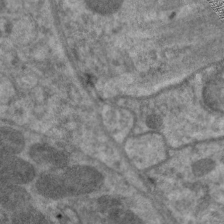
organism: C. elegans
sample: Pharynx